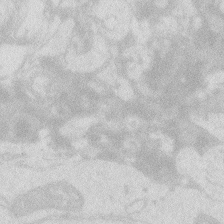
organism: Zebrafish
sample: Macrophage